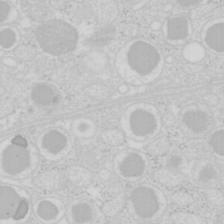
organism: Mouse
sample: Pancreas